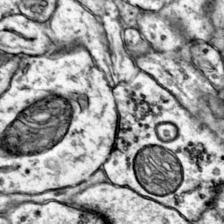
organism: Mouse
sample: Primary visual cortex